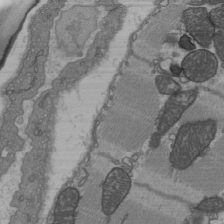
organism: C57BL Mouse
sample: Heart